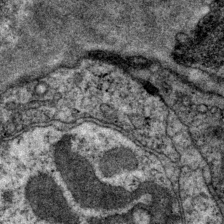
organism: P. pacificus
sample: Pharynx